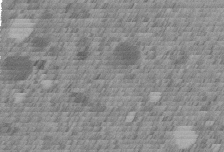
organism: C. elegans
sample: C. elegans embryo early stage